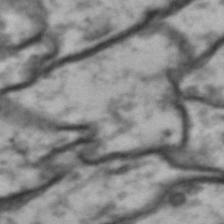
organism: Drosophila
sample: Brain